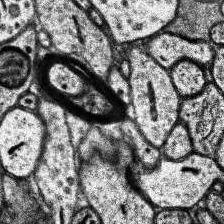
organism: Human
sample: Temporal Lobe